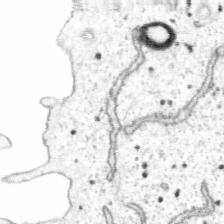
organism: Human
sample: HeLa cells